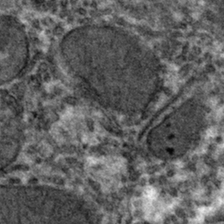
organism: Mouse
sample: Mouse hepatocytes